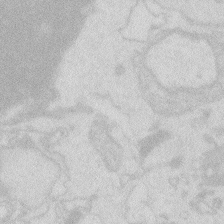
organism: Zebrafish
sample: Macrophage